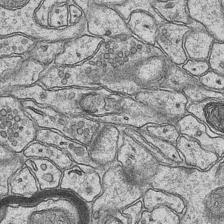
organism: Mouse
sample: CA1 Hippocampus